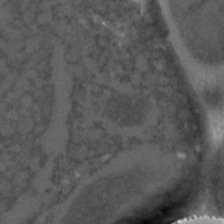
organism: C. elegans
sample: C. elegans embryo